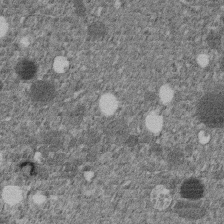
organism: C. elegans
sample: C. elegans embryo early stage